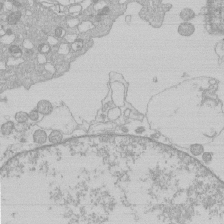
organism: Human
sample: Macrophage cells